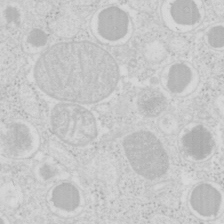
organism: Mouse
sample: Pancreas